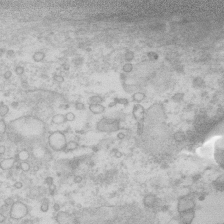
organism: Human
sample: Fibroblast cells